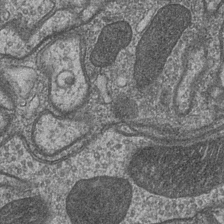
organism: Drosophila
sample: Optic medulla